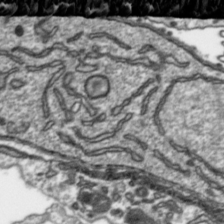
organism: Toxoplasma gondii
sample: Parasites in a vacuole inside a host cell